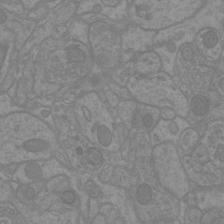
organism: Mouse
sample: Cortical neurons